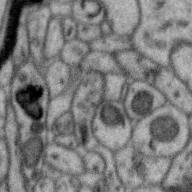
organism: Zebra finch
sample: Brain